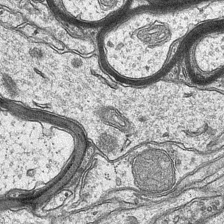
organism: Mouse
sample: CA1 Hippocampus